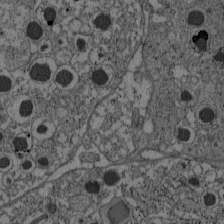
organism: C57BL Mouse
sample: Pancreatic islet